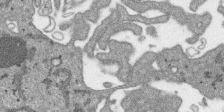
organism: Human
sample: Lung epithelial cells infected with SARS-CoV-2